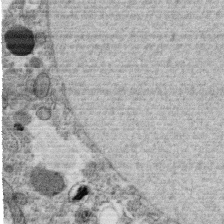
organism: C. elegans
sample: C. elegans oocyte; sperm cells